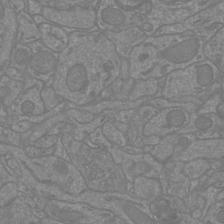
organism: Mouse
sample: Cortical neurons